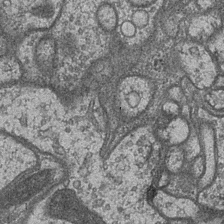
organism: Drosophila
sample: Optic medulla